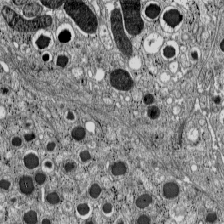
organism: C57BL Mouse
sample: Pancreatic islet